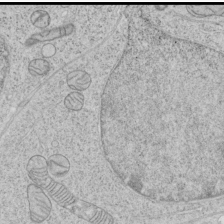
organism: Human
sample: Mitochondria in HCT116 cells